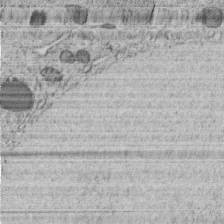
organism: C. elegans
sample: C. elegans embryo early stage